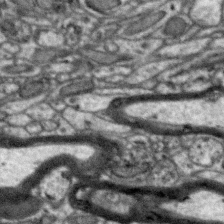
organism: Zebra finch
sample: Brain